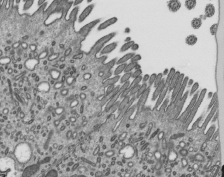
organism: Mouse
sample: Mouse epididymis efferent ductule cilia